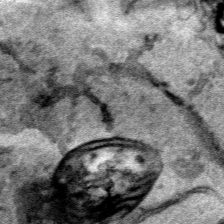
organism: Human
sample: Mitochondria in HCT116 cells